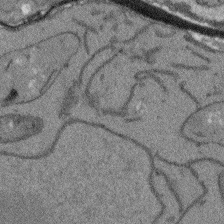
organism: Arabidopsis thaliana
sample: Root tip